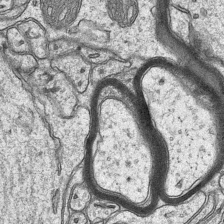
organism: Mouse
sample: CA1 Hippocampus